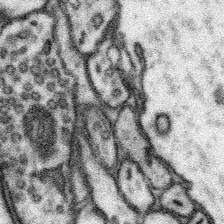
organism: Mouse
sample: Somatosensory cortex neuropil